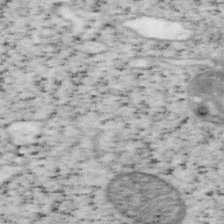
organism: Mouse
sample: OT-I killer T cells with ID8 ovarian cancer cells